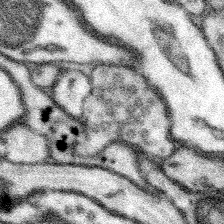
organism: Mouse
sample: Somatosensory cortex neuropil